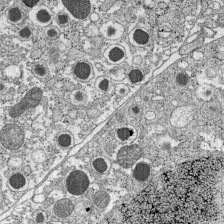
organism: C57BL Mouse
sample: Pancreatic islet